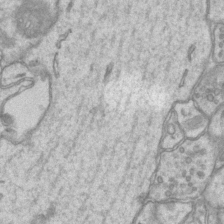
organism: Mouse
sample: CA1 Hippocampus